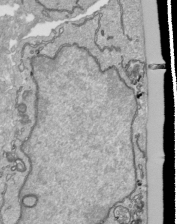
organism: Human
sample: Mitochondria in HCT116 cells